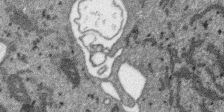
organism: Human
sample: Lung epithelial cells infected with SARS-CoV-2